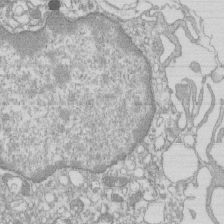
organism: Mouse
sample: Macrophages